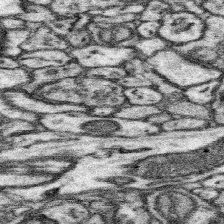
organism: Mouse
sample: Somatosensory cortex neuropil